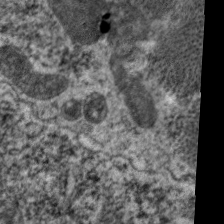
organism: C. elegans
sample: Pharynx